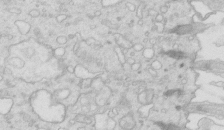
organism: Mouse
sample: Multiciliated cells